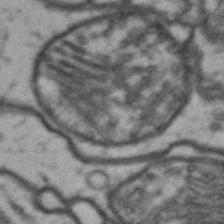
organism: Drosophila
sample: Brain